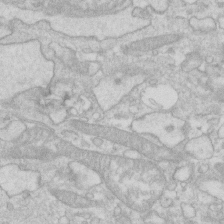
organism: Human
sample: Fibroblast cells